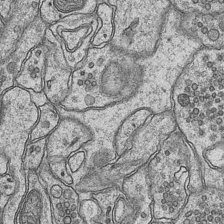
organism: Mouse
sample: CA1 Hippocampus